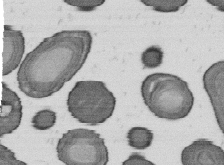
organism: B. subtilis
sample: Bacterial spore